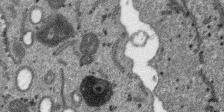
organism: Human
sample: Lung epithelial cells infected with SARS-CoV-2